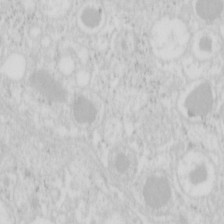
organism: Mouse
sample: Pancreas